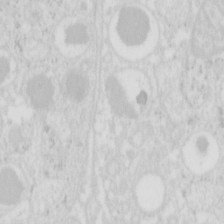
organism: Mouse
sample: Pancreas